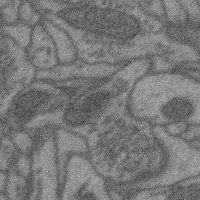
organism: Mouse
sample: Cerebral cortex